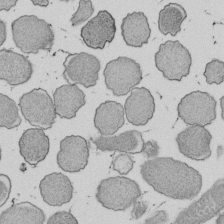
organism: E. coli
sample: Bacterial nucleoid